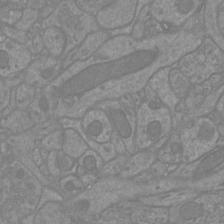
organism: Mouse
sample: Cortical neurons